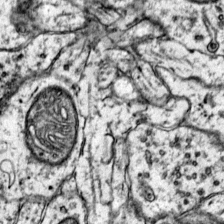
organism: Mouse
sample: Primary visual cortex